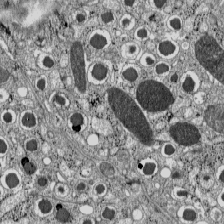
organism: C57BL Mouse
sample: Pancreatic islet